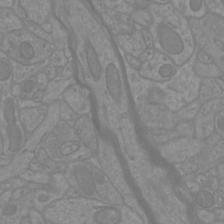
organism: Mouse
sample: Cortical neurons